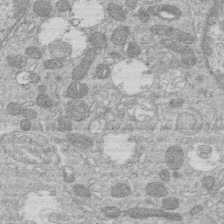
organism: Human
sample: Macrophage cells